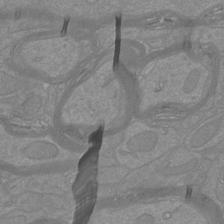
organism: Mouse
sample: Cortical neurons